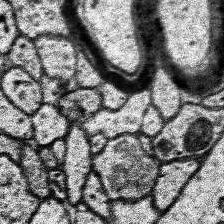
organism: Human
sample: Temporal Lobe